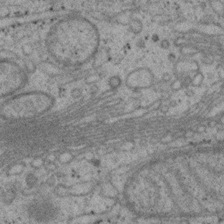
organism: Human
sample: HeLa cells